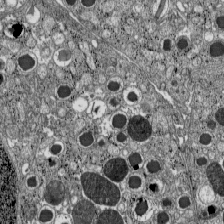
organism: C57BL Mouse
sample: Pancreatic islet